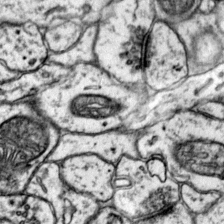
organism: Mouse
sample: Primary visual cortex